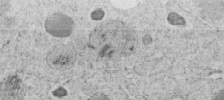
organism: C. elegans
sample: C. elegans embryo early stage